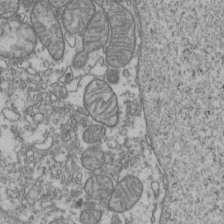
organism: Human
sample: Activated Jurkat CD4+ T cells